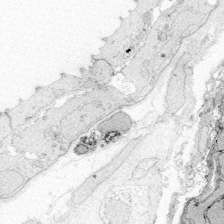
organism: Zebrafish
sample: Whole-Brain